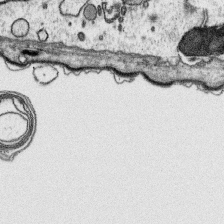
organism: Platynereis dumerilii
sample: Parapodia